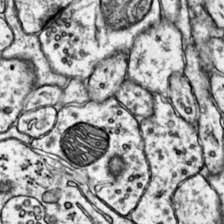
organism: Mouse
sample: Primary visual cortex